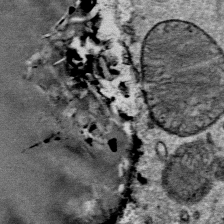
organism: Mouse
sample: Mouse Salivary gland